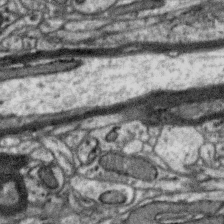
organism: Zebra finch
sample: Brain